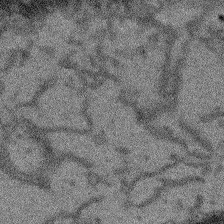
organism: Arabidopsis thaliana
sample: Root tip